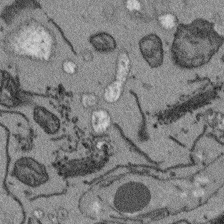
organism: Arabidopsis thaliana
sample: Root tip